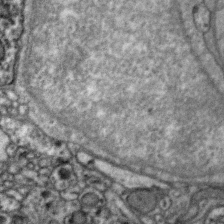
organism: Zebra finch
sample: Brain